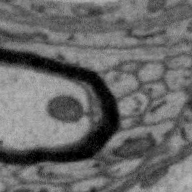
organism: Zebra finch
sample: Brain